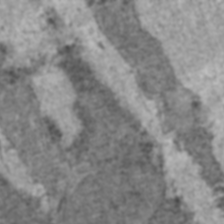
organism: C57BL Mouse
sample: Heart